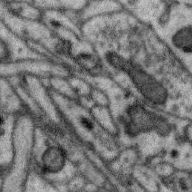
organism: Zebra finch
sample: Brain